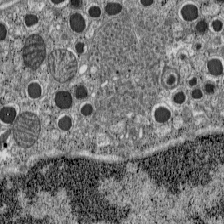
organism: C57BL Mouse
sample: Pancreatic islet